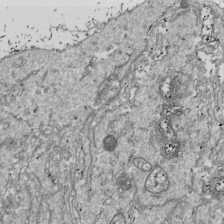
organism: Drosophila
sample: Cell division; meiosis; drosophila spermatocytes